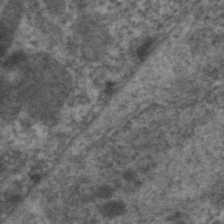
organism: C. elegans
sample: Pharynx